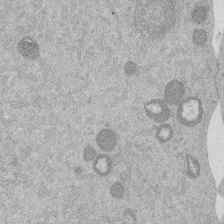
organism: Mouse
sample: Dividing mouse embryo 1 cell stage